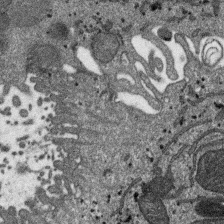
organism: Human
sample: Lung epithelial cells infected with SARS-CoV-2